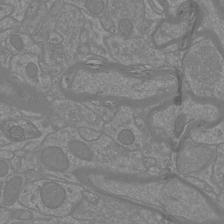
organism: Mouse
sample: Cortical neurons